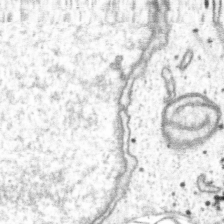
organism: Human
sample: HeLa cells